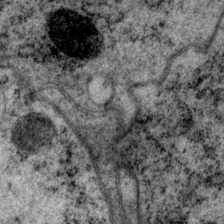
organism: P. pacificus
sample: Pharynx